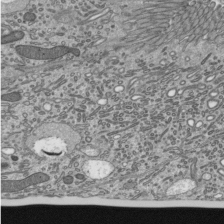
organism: Mouse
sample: Mouse epididymis efferent ductule cilia